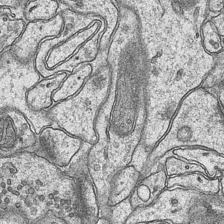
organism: Mouse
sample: CA1 Hippocampus